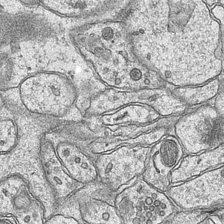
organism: Mouse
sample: CA1 Hippocampus